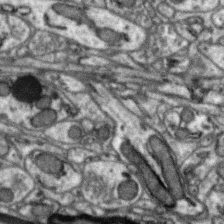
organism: Zebra finch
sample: Brain